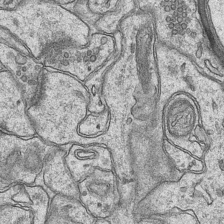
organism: Mouse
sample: CA1 Hippocampus